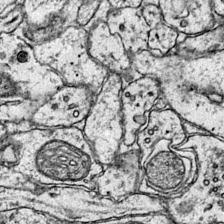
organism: Mouse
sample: Primary visual cortex